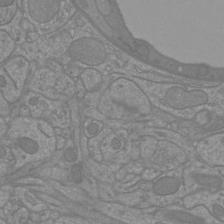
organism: Mouse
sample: Cortical neurons